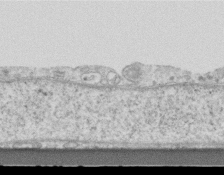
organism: Mouse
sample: Centriole in ependymal cells